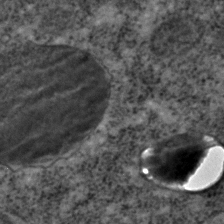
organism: C. elegans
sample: C. elegans embryo